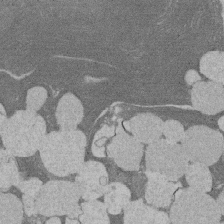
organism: Rat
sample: Salivary granule